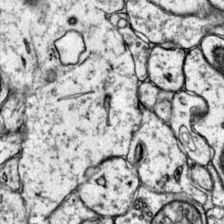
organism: Mouse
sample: Primary visual cortex